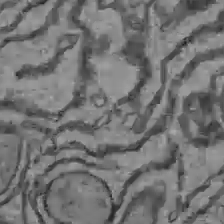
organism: C57BL Mouse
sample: Liver